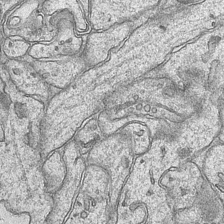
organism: Mouse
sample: CA1 Hippocampus